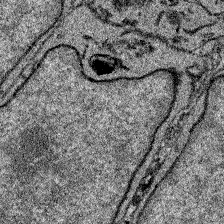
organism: Zebrafish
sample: Larval olfactory bulb